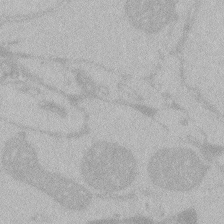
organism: Zebrafish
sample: Macrophage infected with Toxoplasma gondii